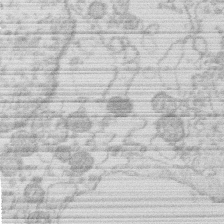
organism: Human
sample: Macrophage cells